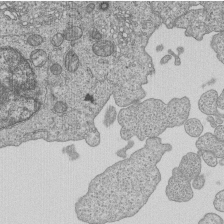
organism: Human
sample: MDA-MB-231 cells